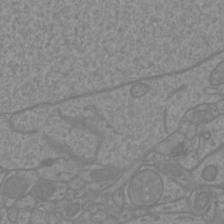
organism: Mouse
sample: Cortical neurons